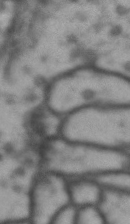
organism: Drosophila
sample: Brain